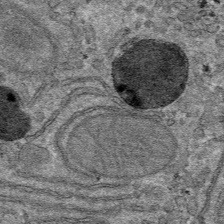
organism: Mouse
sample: Mouse hepatocytes